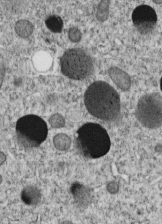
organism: C. elegans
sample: C. elegans embryo early stage